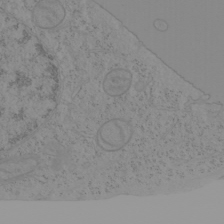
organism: Human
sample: HeLa cells